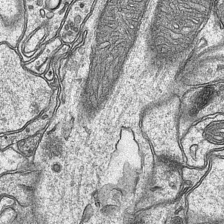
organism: Mouse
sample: CA1 Hippocampus